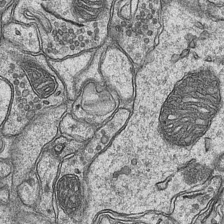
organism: Mouse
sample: CA1 Hippocampus